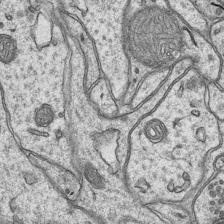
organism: Mouse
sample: CA1 Hippocampus